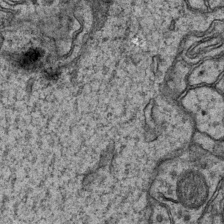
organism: Mouse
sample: CA1 Hippocampus